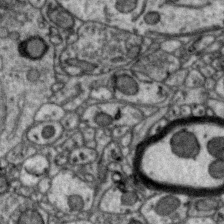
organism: Zebra finch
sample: Brain